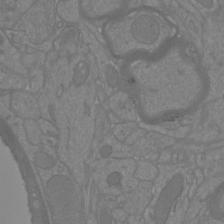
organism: Mouse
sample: Cortical neurons